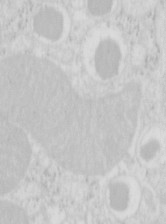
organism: Mouse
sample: Pancreas